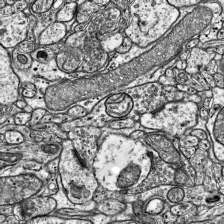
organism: Mouse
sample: Visual Cortex